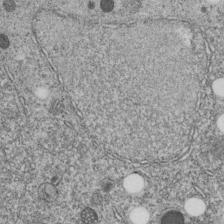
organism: C. elegans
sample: C. elegans embryo early stage